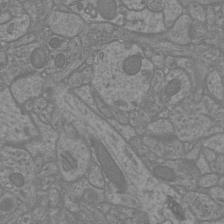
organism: Mouse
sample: Cortical neurons